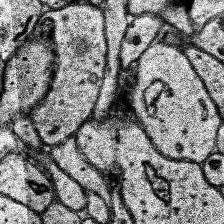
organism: Human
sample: Temporal Lobe